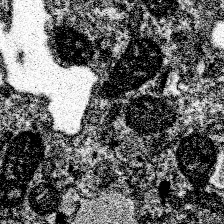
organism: Spongilla lacustris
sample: Neuroid cell